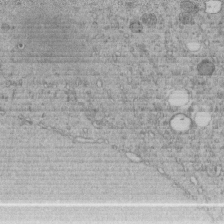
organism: C. elegans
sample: C. elegans embryo early stage